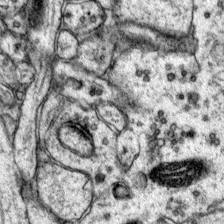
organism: Mouse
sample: Primary visual cortex